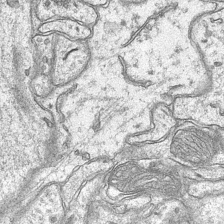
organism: Mouse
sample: CA1 Hippocampus